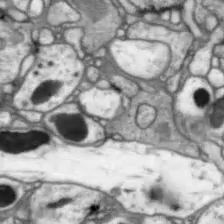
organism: Drosophila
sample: Optic lobe